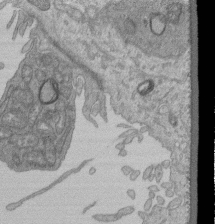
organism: Human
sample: Retinal organoid Rod and Cone cells